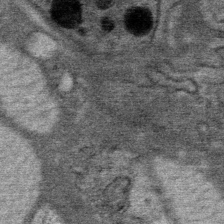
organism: Mouse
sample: Mouse Salivary gland